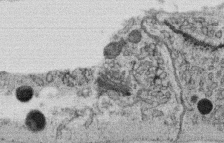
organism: C. elegans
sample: C. elegans oocyte; sperm cells